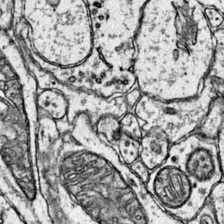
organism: Mouse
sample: Primary visual cortex